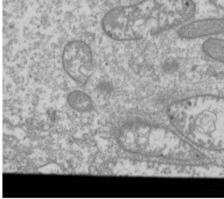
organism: Drosophila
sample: Cell division; meiosis; drosophila spermatocytes